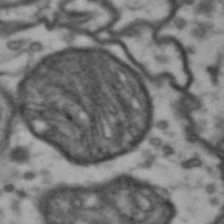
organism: Drosophila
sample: Brain